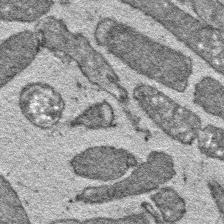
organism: E. coli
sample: E. Coli Bacteria